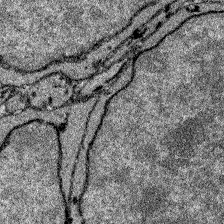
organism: Zebrafish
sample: Larval olfactory bulb